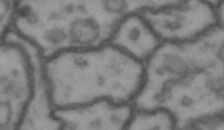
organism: Drosophila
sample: Brain